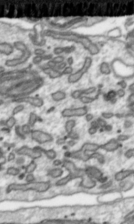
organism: Toxoplasma gondii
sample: Parasites in a vacuole inside a host cell